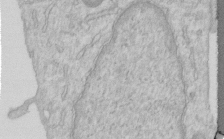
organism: Human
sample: Centriole in RPE cells